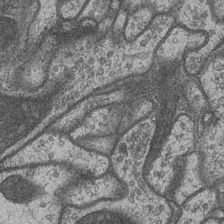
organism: Drosophila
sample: Optic medulla